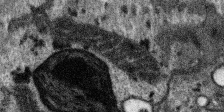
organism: Human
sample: Lung epithelial cells infected with SARS-CoV-2